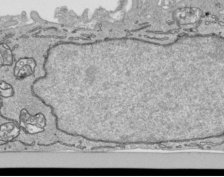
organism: Human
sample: Mitochondria in HCT116 cells